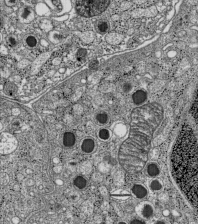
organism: C57BL Mouse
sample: Pancreatic islet